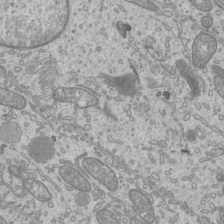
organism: Mouse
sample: Cilia; mouse epididymis